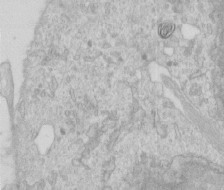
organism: Human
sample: Centriole in RPE cells